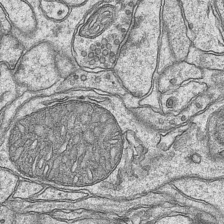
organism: Mouse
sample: CA1 Hippocampus